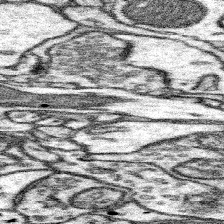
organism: Mouse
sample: Somatosensory cortex neuropil